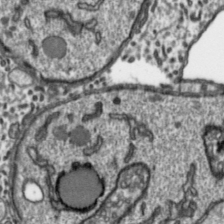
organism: Toxoplasma gondii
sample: Parasites in a vacuole inside a host cell